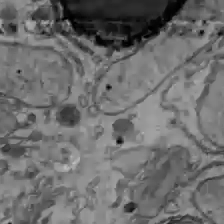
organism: C57BL Mouse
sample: Liver